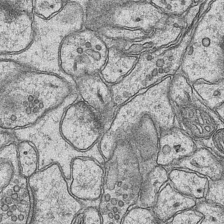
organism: Mouse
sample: CA1 Hippocampus